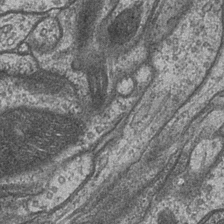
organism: Drosophila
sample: Optic medulla